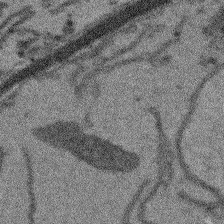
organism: Arabidopsis thaliana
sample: Root tip